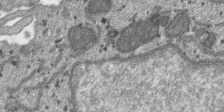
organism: Human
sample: Lung epithelial cells infected with SARS-CoV-2